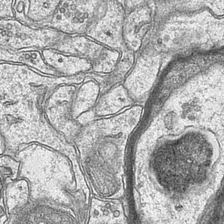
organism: Mouse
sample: CA1 Hippocampus